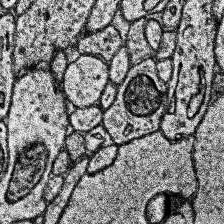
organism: Human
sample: Temporal Lobe